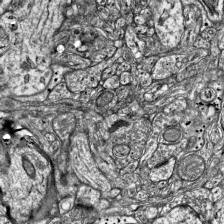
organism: Mouse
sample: Visual Cortex